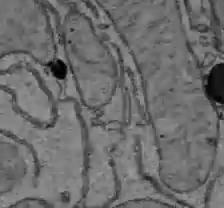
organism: C57BL Mouse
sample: Liver